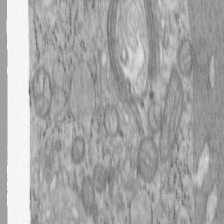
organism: Human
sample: HeLa cells